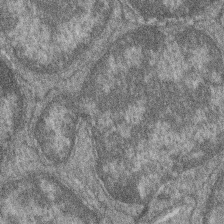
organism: Zebrafish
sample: Cilia; retinal pigment epithelium